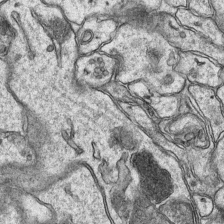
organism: Mouse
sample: CA1 Hippocampus